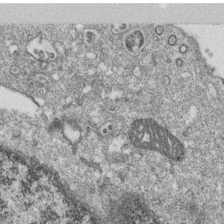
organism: African green monkey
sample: Vero E6 cells infected with SARS-CoV-2